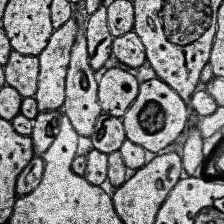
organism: Human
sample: Temporal Lobe